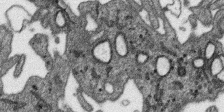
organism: Human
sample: Lung epithelial cells infected with SARS-CoV-2